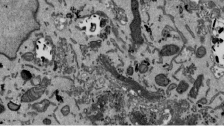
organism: Mouse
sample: ED-1 cell nuclei; centrioles